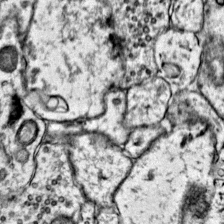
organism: Mouse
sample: Primary visual cortex